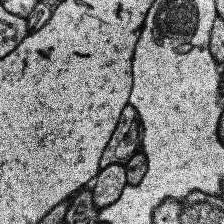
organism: Human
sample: Temporal Lobe